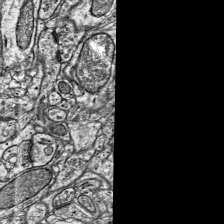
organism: Mouse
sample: Visual Cortex